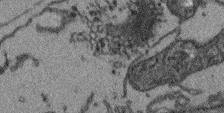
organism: Arabidopsis thaliana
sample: Root tip